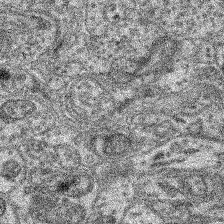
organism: Mouse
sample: Retina